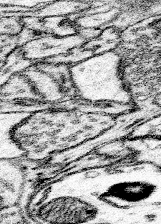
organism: Mouse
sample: Somatosensory cortex neuropil